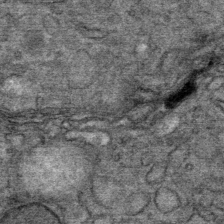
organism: Mouse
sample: Mouse Salivary gland